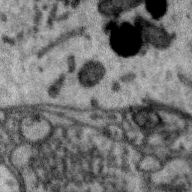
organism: Zebra finch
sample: Brain